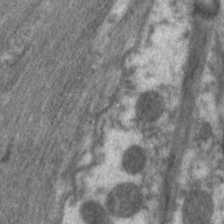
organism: C. elegans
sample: Pharynx